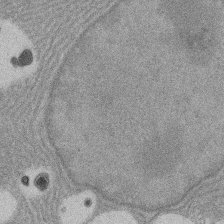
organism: Rat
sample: Salivary granule